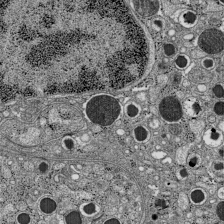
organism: C57BL Mouse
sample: Pancreatic islet